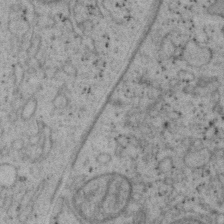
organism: Human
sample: HeLa cells